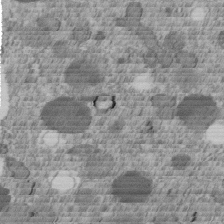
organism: C. elegans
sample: C. elegans embryo early stage